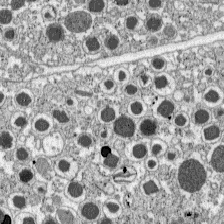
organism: C57BL Mouse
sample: Pancreatic islet